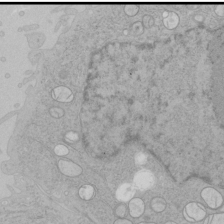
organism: Human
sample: Mitochondria in HCT116 cells